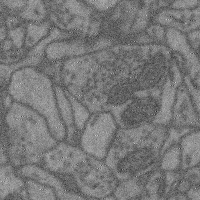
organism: Mouse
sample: Cerebral cortex